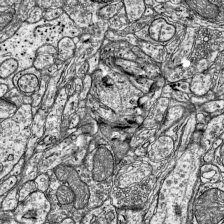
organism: Mouse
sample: Visual Cortex